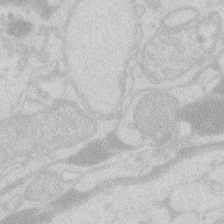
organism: Zebrafish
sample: Macrophage